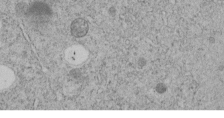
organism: C. elegans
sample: C. elegans embryo early stage